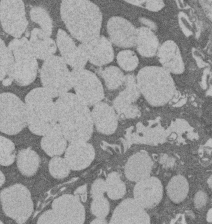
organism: Rat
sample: Salivary granule